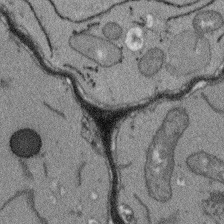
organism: Arabidopsis thaliana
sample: Root tip